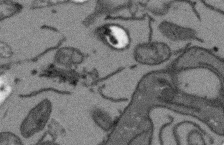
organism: Arabidopsis thaliana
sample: Root tip